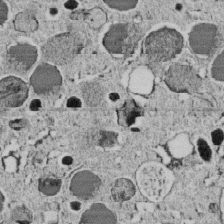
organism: C. elegans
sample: C. elegans embryo early stage